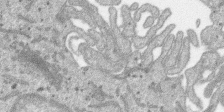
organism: Human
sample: Lung epithelial cells infected with SARS-CoV-2